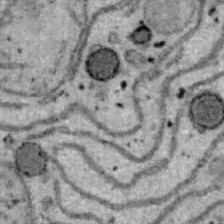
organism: Mouse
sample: Liver from an obese (ob/ob) mouse